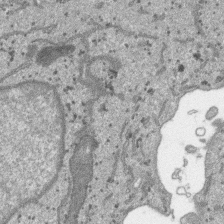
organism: Human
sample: Lung epithelial cells infected with SARS-CoV-2